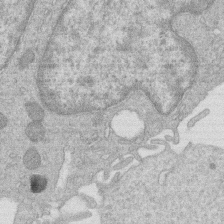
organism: Human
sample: Macrophage cells